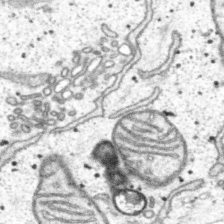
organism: Human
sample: HeLa cells